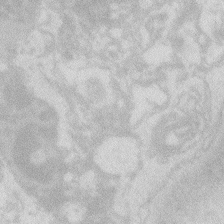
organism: Zebrafish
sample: Macrophage